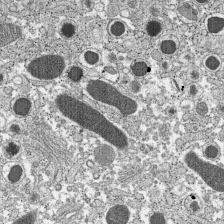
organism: C57BL Mouse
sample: Pancreatic islet